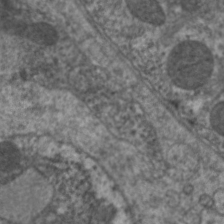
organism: C. elegans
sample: Pharynx